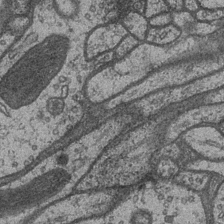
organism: Drosophila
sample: Optic medulla